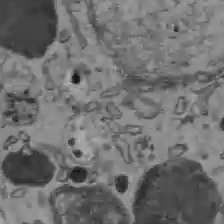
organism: C57BL Mouse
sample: Liver